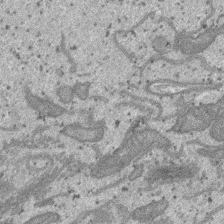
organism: Human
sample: Lung epithelial cells infected with SARS-CoV-2